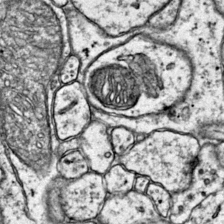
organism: Mouse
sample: Primary visual cortex